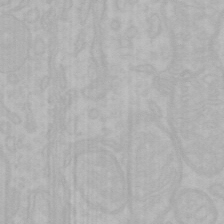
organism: Mouse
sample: Choroid plexus